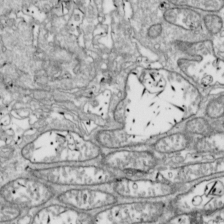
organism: Drosophila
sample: Cell division; meiosis; drosophila spermatocytes